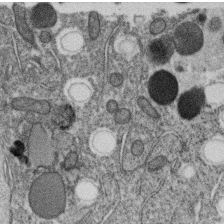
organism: C. elegans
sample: C. elegans oocyte; sperm cells